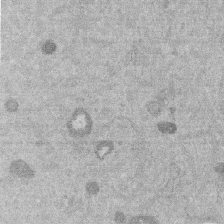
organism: Mouse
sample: Dividing mouse embryo 1 cell stage